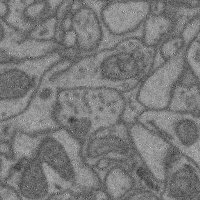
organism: Mouse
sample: Cerebral cortex